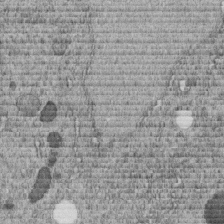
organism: C. elegans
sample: C. elegans embryo early stage